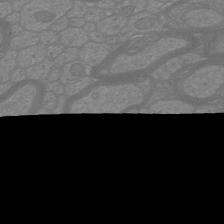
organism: Mouse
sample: Cortical neurons